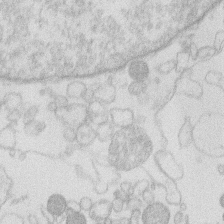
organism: Human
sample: Macrophage cells